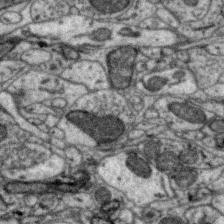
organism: Zebra finch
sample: Brain